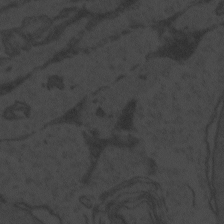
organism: Zebrafish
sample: Macrophage infected with Toxoplasma gondii